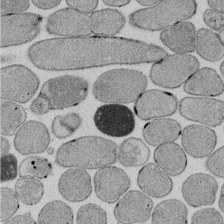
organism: E. coli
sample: Bacterial nucleoid